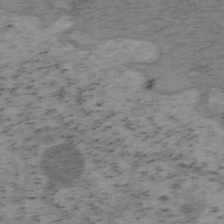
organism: Mouse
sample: OT-I killer T cells with ID8 ovarian cancer cells